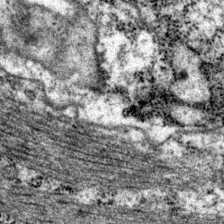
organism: P. pacificus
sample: Pharynx